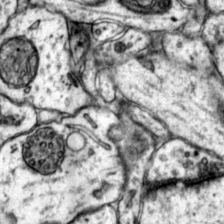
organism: Mouse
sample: Primary visual cortex